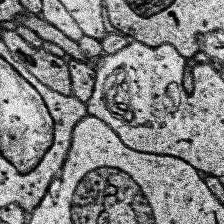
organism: Human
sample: Temporal Lobe